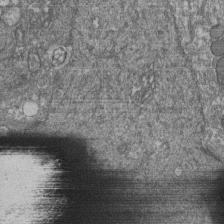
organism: Human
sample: Retinal organoid Rod and Cone cells